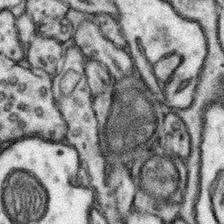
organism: Mouse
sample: Somatosensory cortex neuropil